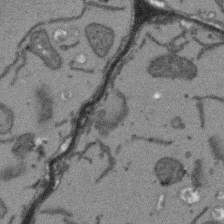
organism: Arabidopsis thaliana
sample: Root tip